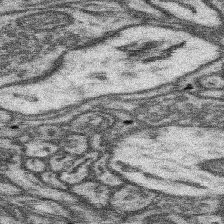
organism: Mouse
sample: Somatosensory cortex neuropil